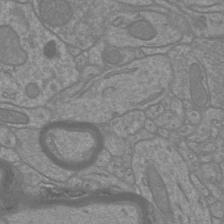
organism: Mouse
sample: Cortical neurons